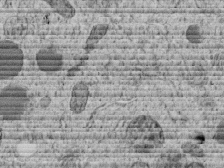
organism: C. elegans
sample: C. elegans embryo early stage